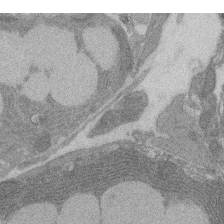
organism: Rat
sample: Salivary granule